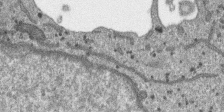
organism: Human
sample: Lung epithelial cells infected with SARS-CoV-2